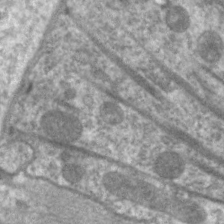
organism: C. elegans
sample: Pharynx